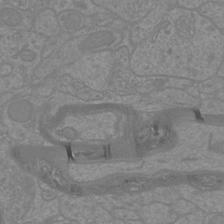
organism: Mouse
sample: Cortical neurons